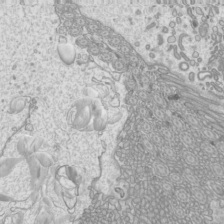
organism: Mouse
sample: Cilia; mouse epididymis